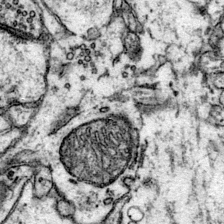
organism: Mouse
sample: Primary visual cortex